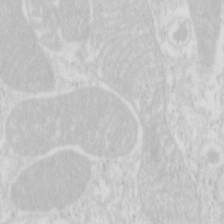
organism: Mouse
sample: Pancreas